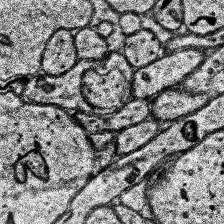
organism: Human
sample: Temporal Lobe